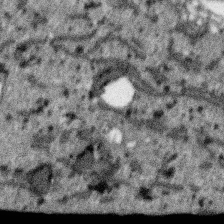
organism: Human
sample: Lung epithelial cells infected with SARS-CoV-2